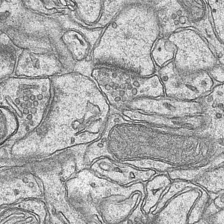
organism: Mouse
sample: CA1 Hippocampus